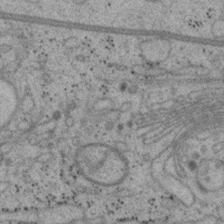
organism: Human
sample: HeLa cells